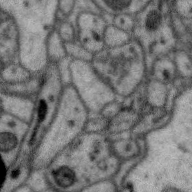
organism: Zebra finch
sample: Brain